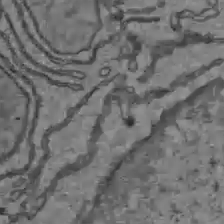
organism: C57BL Mouse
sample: Liver